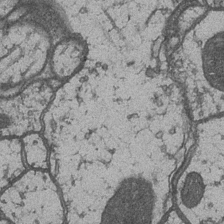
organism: Drosophila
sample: Optic medulla